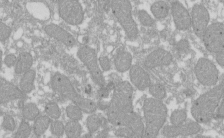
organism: Xenopus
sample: Cilia; centrioles in frog embryo cells